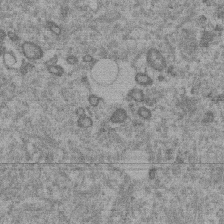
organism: Mouse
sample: Dividing mouse embryo 1 cell stage